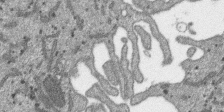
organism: Human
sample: Lung epithelial cells infected with SARS-CoV-2